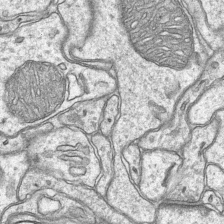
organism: Mouse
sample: CA1 Hippocampus